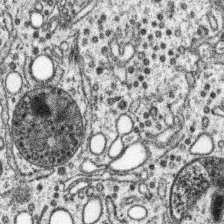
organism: Human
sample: HeLa cells